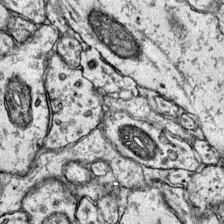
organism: Mouse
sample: Primary visual cortex